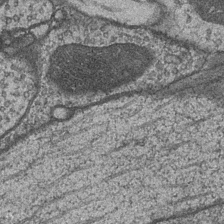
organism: Drosophila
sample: Optic medulla